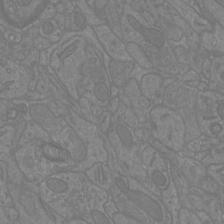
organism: Mouse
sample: Cortical neurons